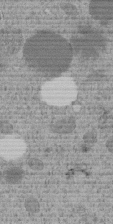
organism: C. elegans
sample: C. elegans embryo early stage